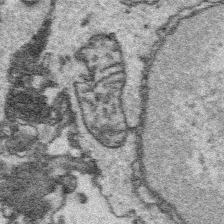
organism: Platynereis dumerilii